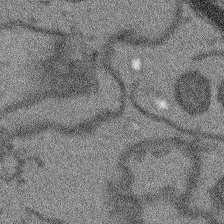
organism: Arabidopsis thaliana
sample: Root tip